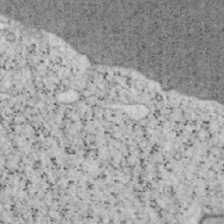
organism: Mouse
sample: OT-I killer T cells with ID8 ovarian cancer cells